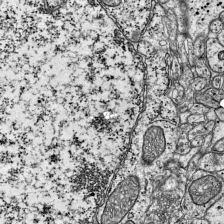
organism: Mouse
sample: Visual Cortex